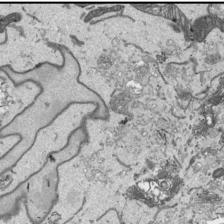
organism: Human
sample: Mitochondria in HCT116 cells